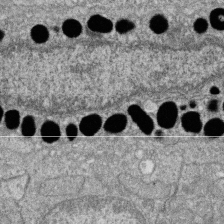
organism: Zebrafish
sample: Cilia; retinal pigment epithelium